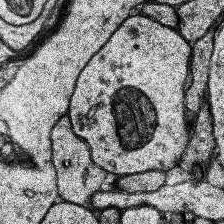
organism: Human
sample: Temporal Lobe